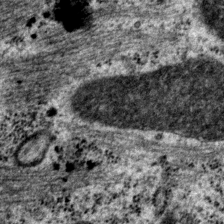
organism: P. pacificus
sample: Pharynx